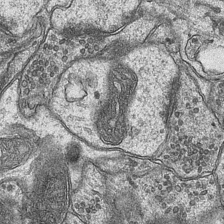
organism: Mouse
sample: CA1 Hippocampus